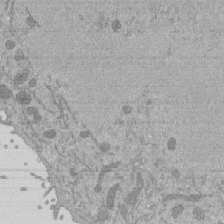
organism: Mouse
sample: ED-1 cell nuclei; centrioles